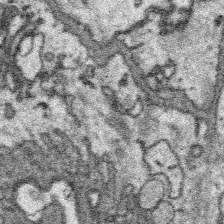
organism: Platynereis dumerilii